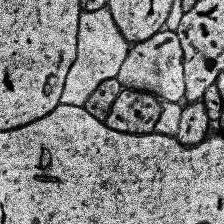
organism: Human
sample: Temporal Lobe